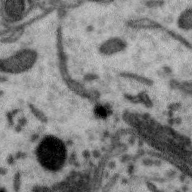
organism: Zebra finch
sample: Brain